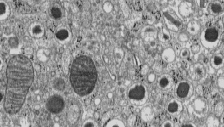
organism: C57BL Mouse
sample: Pancreatic islet